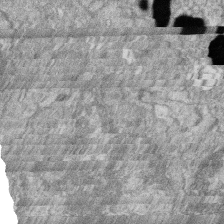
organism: Zebrafish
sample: Cilia; retinal pigment epithelium